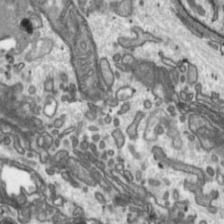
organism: Toxoplasma gondii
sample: Parasites in a vacuole inside a host cell